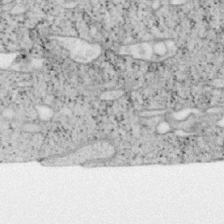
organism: Mouse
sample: OT-I killer T cells with ID8 ovarian cancer cells